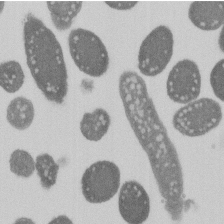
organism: E. coli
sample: Bacterial nucleoid